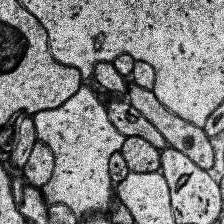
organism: Human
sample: Temporal Lobe